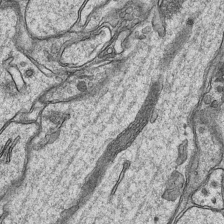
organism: Mouse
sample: CA1 Hippocampus